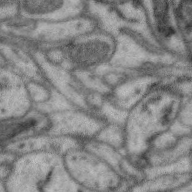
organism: Zebra finch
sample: Brain